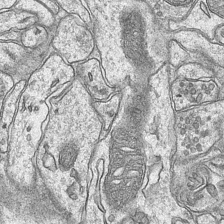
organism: Mouse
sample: CA1 Hippocampus